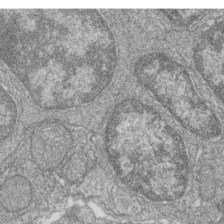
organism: Zebrafish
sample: Cilia; retinal pigment epithelium